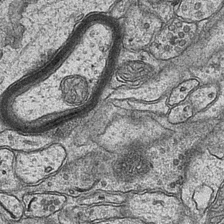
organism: Mouse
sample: CA1 Hippocampus